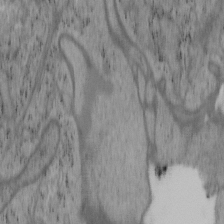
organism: Human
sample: HeLa cells